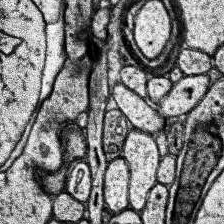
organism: Human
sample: Temporal Lobe